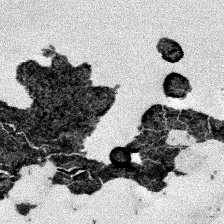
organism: Human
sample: Mitochondria in HCT116 cells